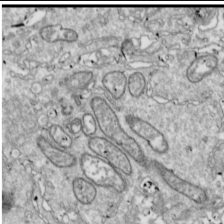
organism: Drosophila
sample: Cell division; meiosis; drosophila spermatocytes